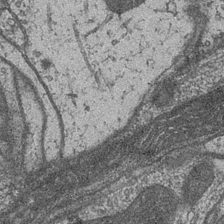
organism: Drosophila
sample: Optic medulla